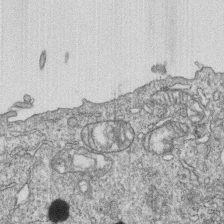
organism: Human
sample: HeLa cell HIV synapse